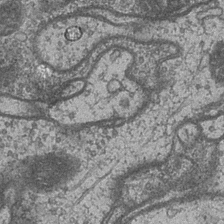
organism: Drosophila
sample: Optic medulla